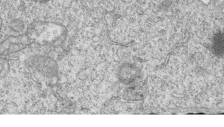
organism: Human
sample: HeLa cell HIV synapse